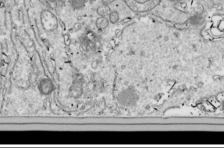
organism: Drosophila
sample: Cell division; meiosis; drosophila spermatocytes